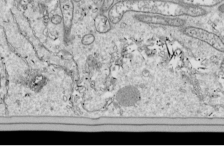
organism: Drosophila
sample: Cell division; meiosis; drosophila spermatocytes